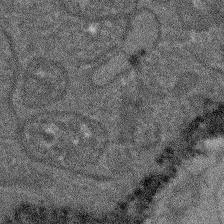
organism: Arabidopsis thaliana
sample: Root tip